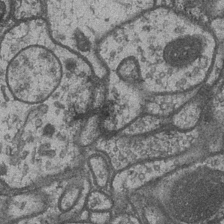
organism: Drosophila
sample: Optic medulla